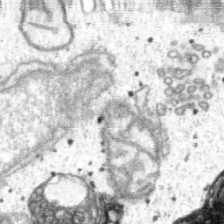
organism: Human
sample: HeLa cells